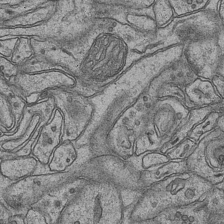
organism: Mouse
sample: CA1 Hippocampus